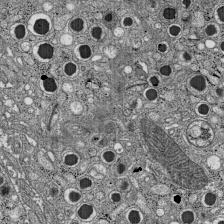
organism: C57BL Mouse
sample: Pancreatic islet